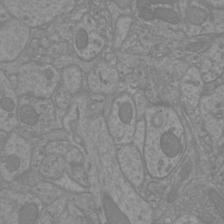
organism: Mouse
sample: Cortical neurons